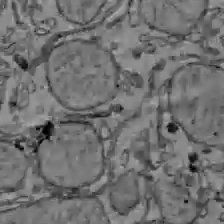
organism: C57BL Mouse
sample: Liver